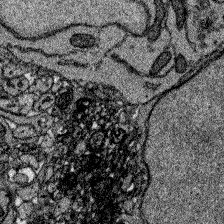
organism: Zebrafish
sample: Larval olfactory bulb